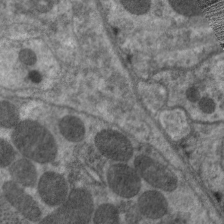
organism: C. elegans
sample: Pharynx